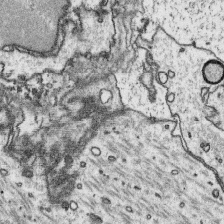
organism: Platynereis dumerilii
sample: Parapodia